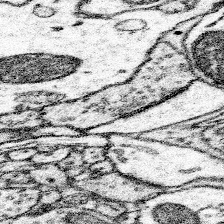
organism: Mouse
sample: Somatosensory cortex neuropil